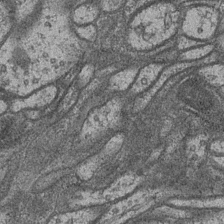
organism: Drosophila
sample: Optic medulla